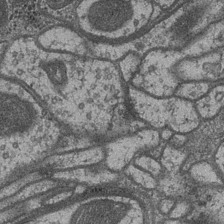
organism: Drosophila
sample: Optic medulla